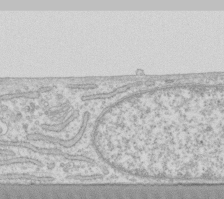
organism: Human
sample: Fibroblast cells